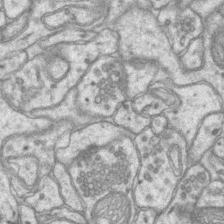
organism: Mouse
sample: CA1 Hippocampus